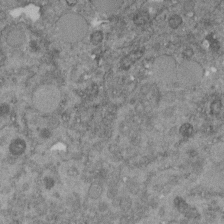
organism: C. elegans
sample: C. elegans embryo early stage